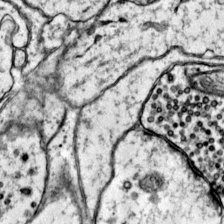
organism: Mouse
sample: Primary visual cortex